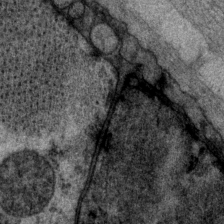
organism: P. pacificus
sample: Pharynx